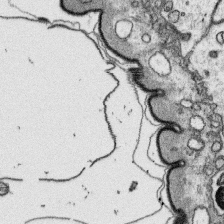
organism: Platynereis dumerilii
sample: Parapodia